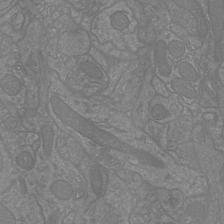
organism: Mouse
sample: Cortical neurons